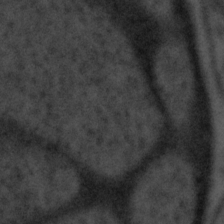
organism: Tuwongella immobilis